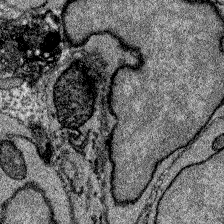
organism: Zebrafish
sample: Larval olfactory bulb